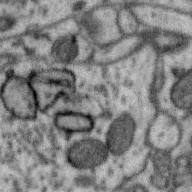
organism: Zebra finch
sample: Brain